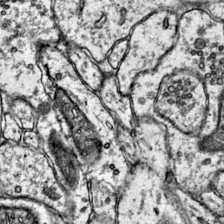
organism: Mouse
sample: Primary visual cortex